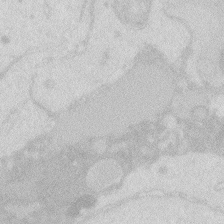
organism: Zebrafish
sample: Macrophage